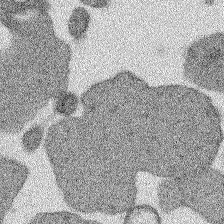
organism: Human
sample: HeLa cells